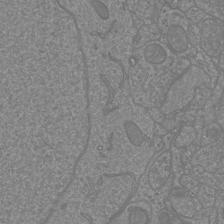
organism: Mouse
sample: Cortical neurons